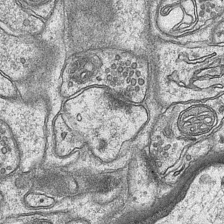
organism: Mouse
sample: CA1 Hippocampus